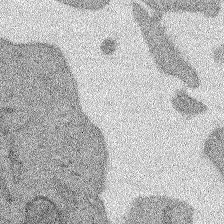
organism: Human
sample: HeLa cells